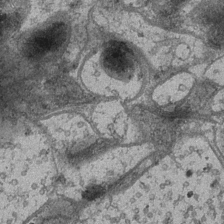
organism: Drosophila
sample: Optic medulla